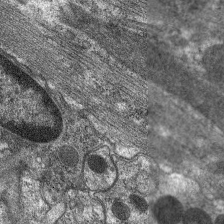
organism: C. elegans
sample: Pharynx